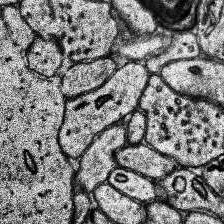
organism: Human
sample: Temporal Lobe